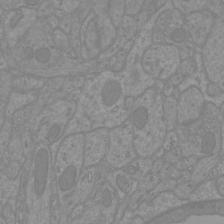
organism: Mouse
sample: Cortical neurons